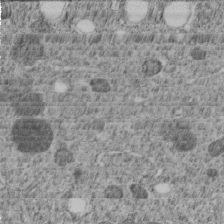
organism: C. elegans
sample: C. elegans embryo early stage